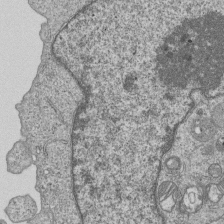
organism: Human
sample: MDA-MB-231 cells